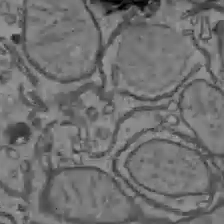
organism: C57BL Mouse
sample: Liver